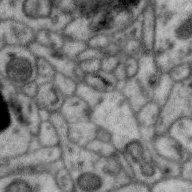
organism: Zebra finch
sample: Brain